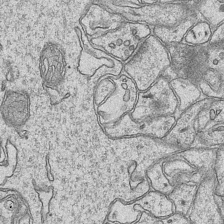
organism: Mouse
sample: CA1 Hippocampus